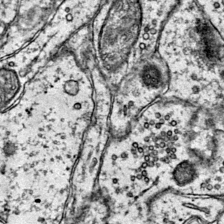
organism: Mouse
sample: Primary visual cortex